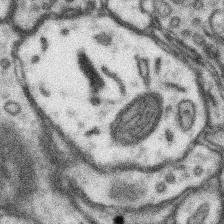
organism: Mouse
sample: Somatosensory cortex neuropil